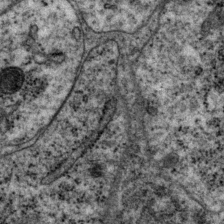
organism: P. pacificus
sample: Pharynx